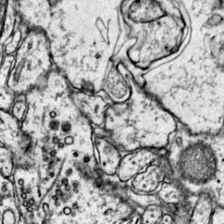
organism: Mouse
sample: Primary visual cortex